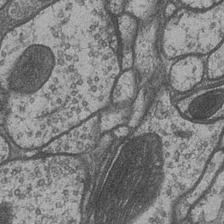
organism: Drosophila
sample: Optic medulla